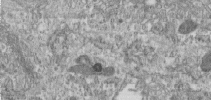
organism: Human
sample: Centriole in RPE cells